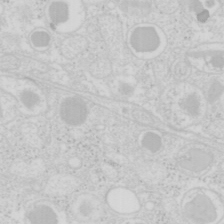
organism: Mouse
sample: Pancreas